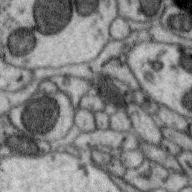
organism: Zebra finch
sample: Brain